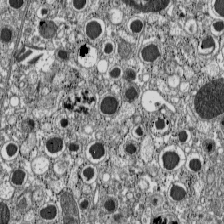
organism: C57BL Mouse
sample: Pancreatic islet